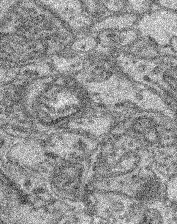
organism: Mouse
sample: Retina